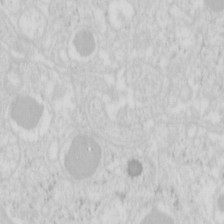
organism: Mouse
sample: Pancreas